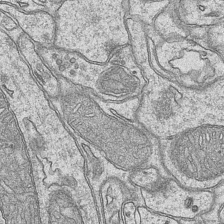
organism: Mouse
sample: CA1 Hippocampus